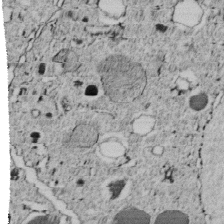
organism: C. elegans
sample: C. elegans embryo early stage